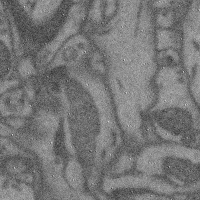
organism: Mouse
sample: Cerebral cortex